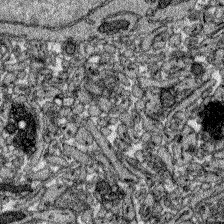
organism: Zebrafish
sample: Larval olfactory bulb